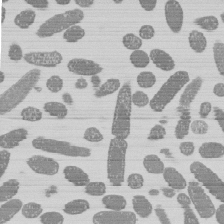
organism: E. coli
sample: Bacterial nucleoid